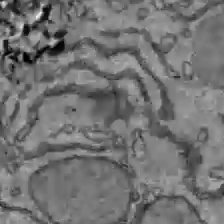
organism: C57BL Mouse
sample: Liver